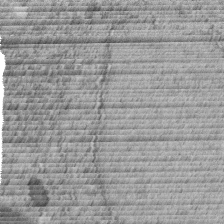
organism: C. elegans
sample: C. elegans embryo early stage